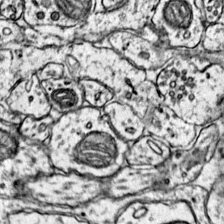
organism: Mouse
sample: Primary visual cortex